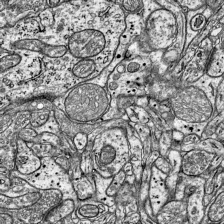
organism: Mouse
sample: Visual Cortex